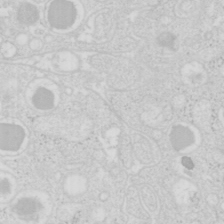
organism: Mouse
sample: Pancreas